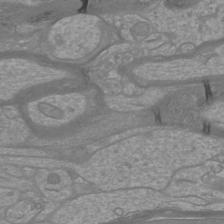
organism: Mouse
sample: Cortical neurons